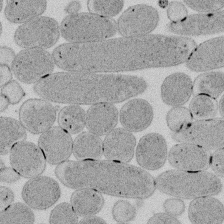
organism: E. coli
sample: Bacterial nucleoid